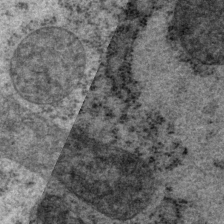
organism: P. pacificus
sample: Pharynx